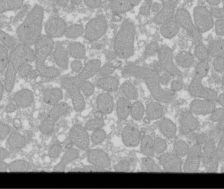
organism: Xenopus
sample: Cilia; centrioles in frog embryo cells